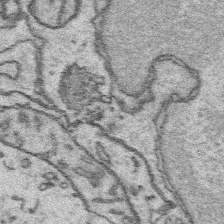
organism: Platynereis dumerilii